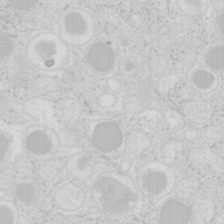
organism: Mouse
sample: Pancreas